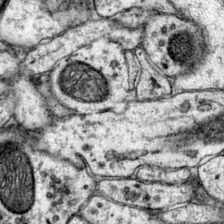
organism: Mouse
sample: Primary visual cortex